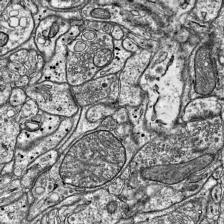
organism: Mouse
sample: Visual Cortex